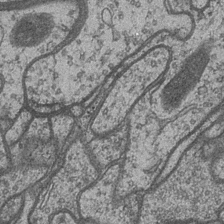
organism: Drosophila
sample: Optic medulla